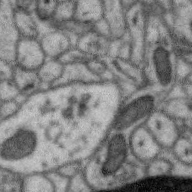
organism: Zebra finch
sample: Brain